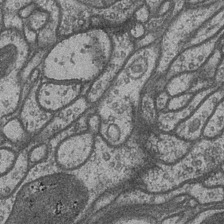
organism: Drosophila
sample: Optic medulla